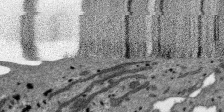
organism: Human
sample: Lung epithelial cells, uninfected (mock) control